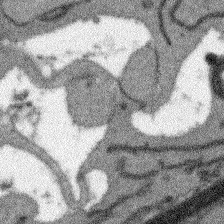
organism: Arabidopsis thaliana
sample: Root tip